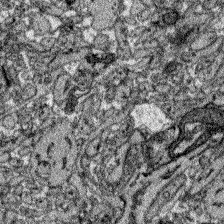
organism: Zebrafish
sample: Larval olfactory bulb